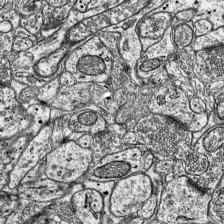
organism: Mouse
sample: Visual Cortex